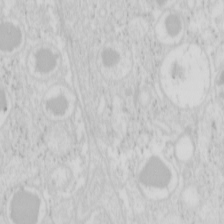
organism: Mouse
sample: Pancreas